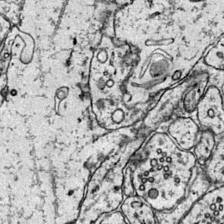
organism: Mouse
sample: Primary visual cortex